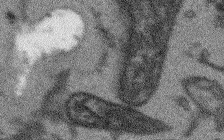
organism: Arabidopsis thaliana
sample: Root tip